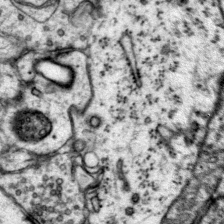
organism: Mouse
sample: Primary visual cortex